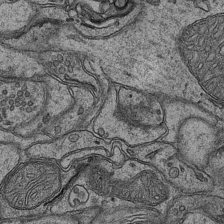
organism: Mouse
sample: CA1 Hippocampus